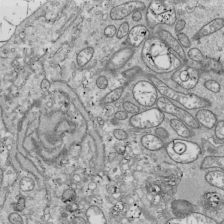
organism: Drosophila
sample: Cell division; meiosis; drosophila spermatocytes